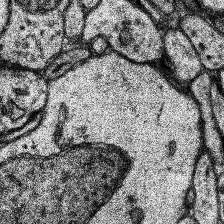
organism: Human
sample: Temporal Lobe